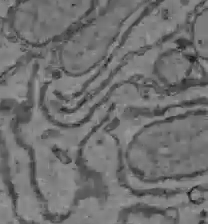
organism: C57BL Mouse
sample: Liver